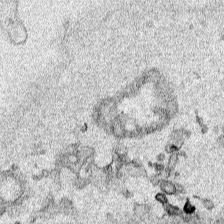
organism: Human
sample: Mitochondria in HCT116 cells